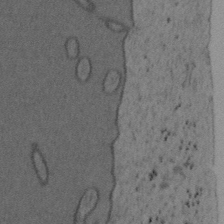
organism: Human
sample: HeLa cells